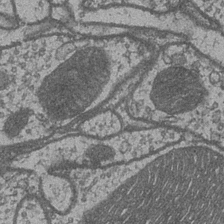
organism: Drosophila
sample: Optic medulla